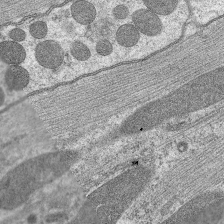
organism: C. elegans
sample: Pharynx